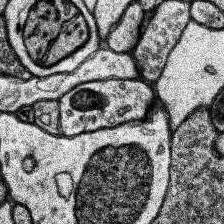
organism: Human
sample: Temporal Lobe